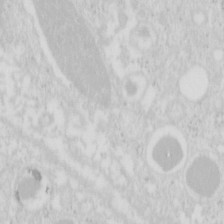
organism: Mouse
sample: Pancreas